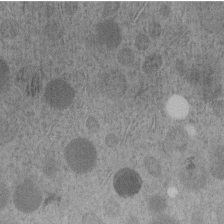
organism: C. elegans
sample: C. elegans embryo early stage